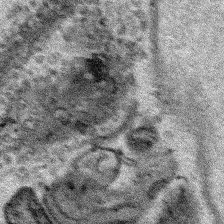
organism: Human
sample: Mitochondria in HCT116 cells